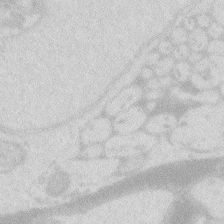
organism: Zebrafish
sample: Macrophage